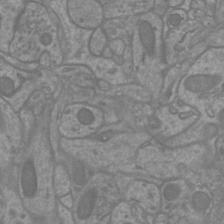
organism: Mouse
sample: Cortical neurons